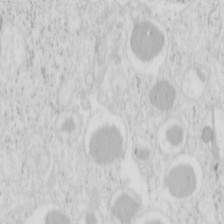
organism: Mouse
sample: Pancreas